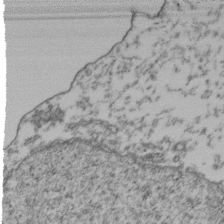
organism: Human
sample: Activated Jurkat CD4+ T cells